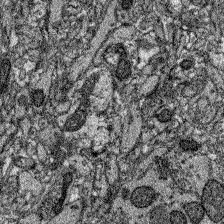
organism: Zebrafish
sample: Larval olfactory bulb